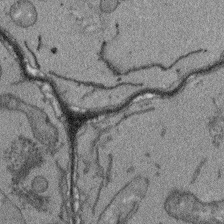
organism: Arabidopsis thaliana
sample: Root tip